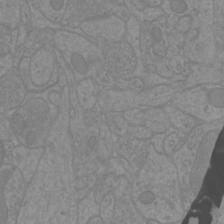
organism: Mouse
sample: Cortical neurons